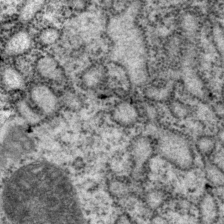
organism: P. pacificus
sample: Pharynx